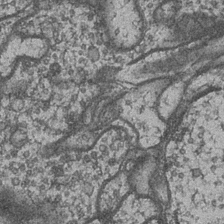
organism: Drosophila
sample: Optic medulla